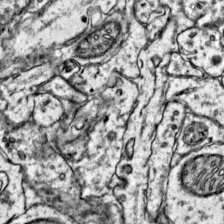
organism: Mouse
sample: Primary visual cortex